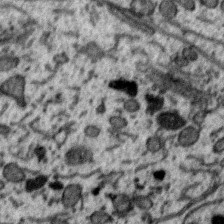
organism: Zebra finch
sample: Brain